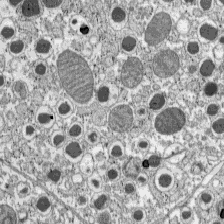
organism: C57BL Mouse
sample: Pancreatic islet